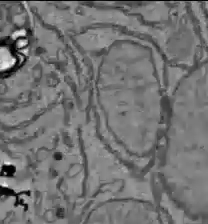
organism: C57BL Mouse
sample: Liver